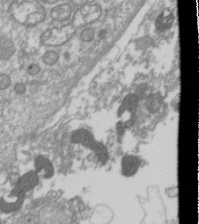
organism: Drosophila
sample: Cell division; meiosis; drosophila spermatocytes